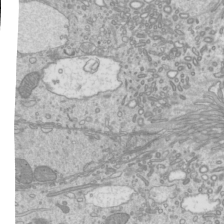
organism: Mouse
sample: Cilia; mouse epididymis